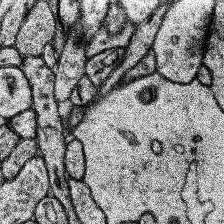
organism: Human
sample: Temporal Lobe